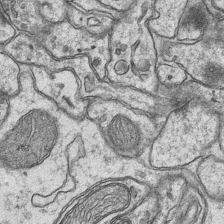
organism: Mouse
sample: CA1 Hippocampus